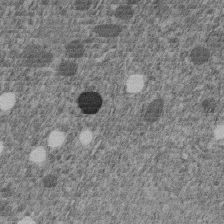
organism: C. elegans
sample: C. elegans embryo early stage